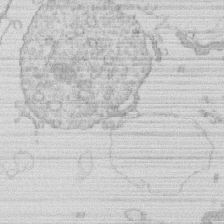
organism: Human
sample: Macrophage cells